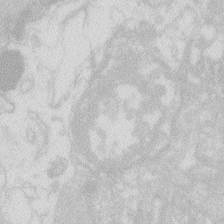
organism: Zebrafish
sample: Macrophage